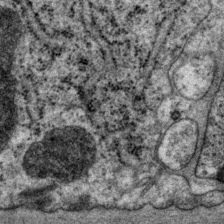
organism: P. pacificus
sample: Pharynx